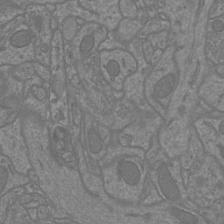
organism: Mouse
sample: Cortical neurons